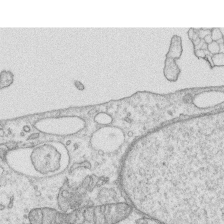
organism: Human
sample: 1205lu cells